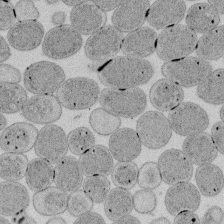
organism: E. coli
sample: Bacterial nucleoid